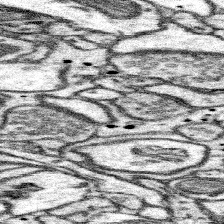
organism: Mouse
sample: Somatosensory cortex neuropil